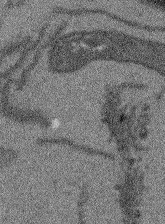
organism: Arabidopsis thaliana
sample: Root tip